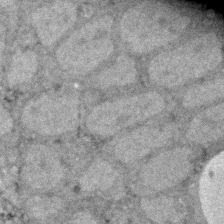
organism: Zebrafish